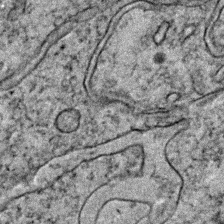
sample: Trachea